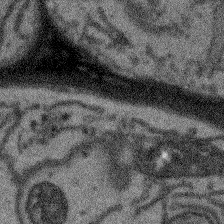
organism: Arabidopsis thaliana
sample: Root tip